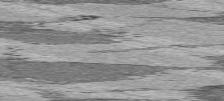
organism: C57BL Mouse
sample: Heart